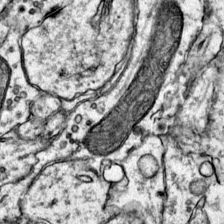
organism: Mouse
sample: Primary visual cortex